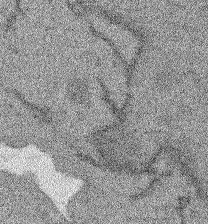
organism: Human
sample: HeLa cells